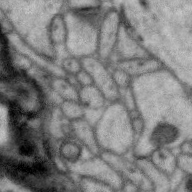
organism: Zebra finch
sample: Brain